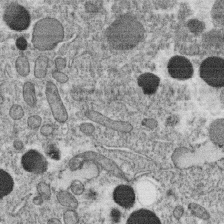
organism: C. elegans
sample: C. elegans oocyte; sperm cells